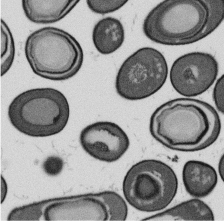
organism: B. subtilis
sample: Bacterial spore